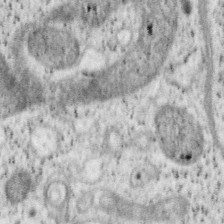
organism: Mouse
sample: OT-I killer T cells with ID8 ovarian cancer cells